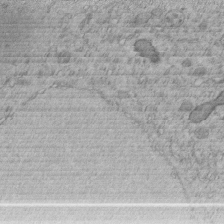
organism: C. elegans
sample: C. elegans embryo early stage